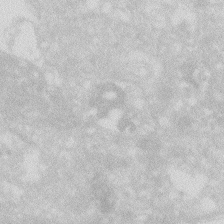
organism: Zebrafish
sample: Macrophage